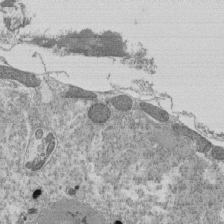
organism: Tetrahymena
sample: Cilia in tetrahymena